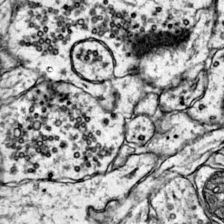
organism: Mouse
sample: Primary visual cortex